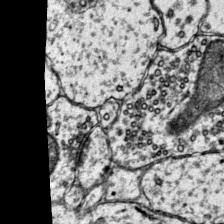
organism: Mouse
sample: Primary visual cortex